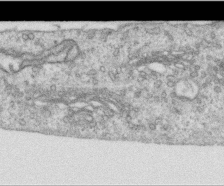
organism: Human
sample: Centriole in RPE cells